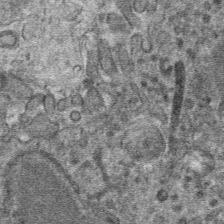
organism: Mouse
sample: Mouse hepatocytes